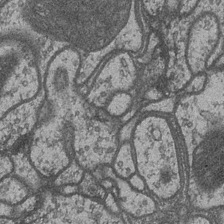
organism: Drosophila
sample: Optic medulla